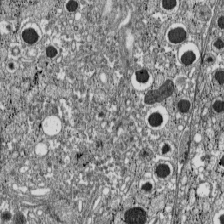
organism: C57BL Mouse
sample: Pancreatic islet